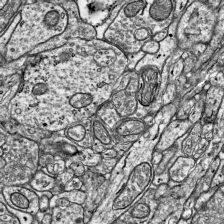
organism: Mouse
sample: Visual Cortex